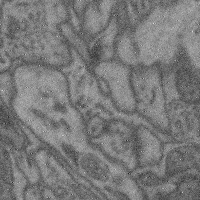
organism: Mouse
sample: Cerebral cortex